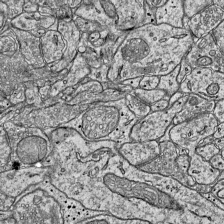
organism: Mouse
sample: Visual Cortex